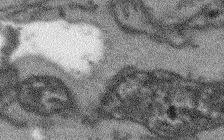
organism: Arabidopsis thaliana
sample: Root tip